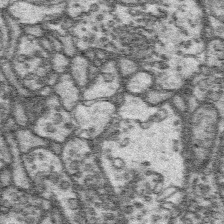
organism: Platynereis dumerilii